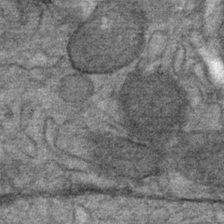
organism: Mouse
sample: Mouse Salivary gland